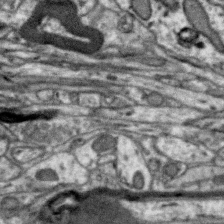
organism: Zebra finch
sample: Brain